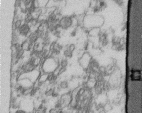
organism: Human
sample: Centriole in fibroblast cells